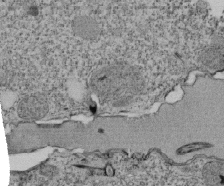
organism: Tetrahymena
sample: Cilia in tetrahymena